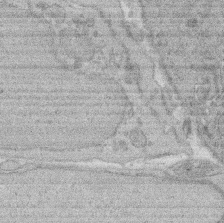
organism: Rat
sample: Salivary granule